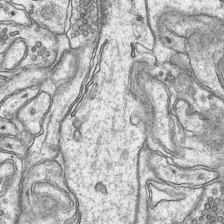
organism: Mouse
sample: CA1 Hippocampus